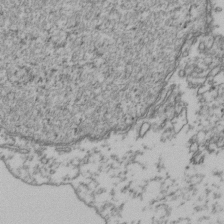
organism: Human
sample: Activated Jurkat CD4+ T cells